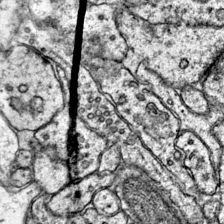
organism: Mouse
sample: Primary visual cortex